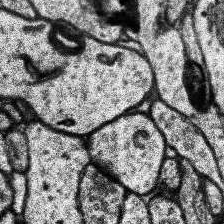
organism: Human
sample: Temporal Lobe